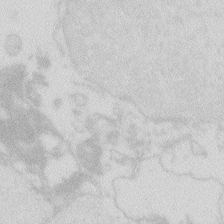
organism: Zebrafish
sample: Macrophage